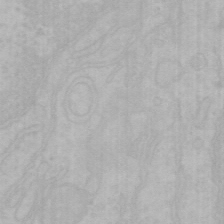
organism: Mouse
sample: Choroid plexus